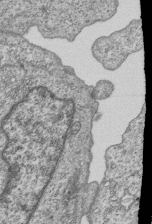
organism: Human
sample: MDA-MB-231 cells